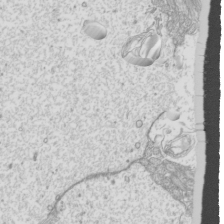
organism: Mouse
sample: Cilia; mouse epididymis